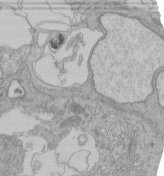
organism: Human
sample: Retinal organoid Rod and Cone cells